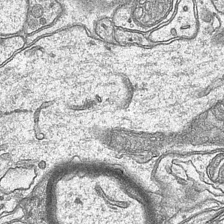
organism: Mouse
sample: CA1 Hippocampus